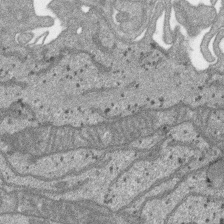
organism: Human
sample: Lung epithelial cells infected with SARS-CoV-2